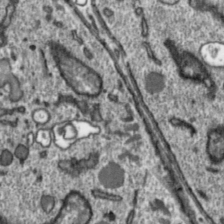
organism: Toxoplasma gondii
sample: Parasites in a vacuole inside a host cell